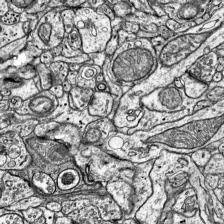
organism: Mouse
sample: Visual Cortex